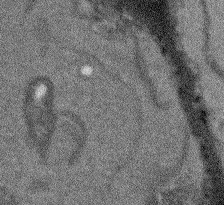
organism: Arabidopsis thaliana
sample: Root tip